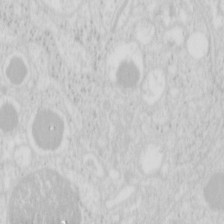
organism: Mouse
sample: Pancreas